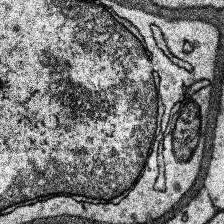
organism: Human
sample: Temporal Lobe